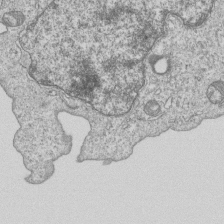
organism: Human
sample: MDA-MB-231 cells